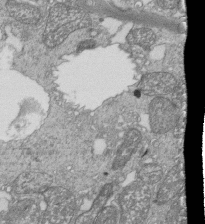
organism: Tetrahymena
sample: Cilia in tetrahymena